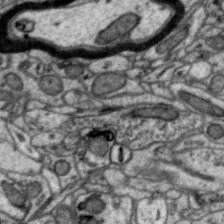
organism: Zebra finch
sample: Brain